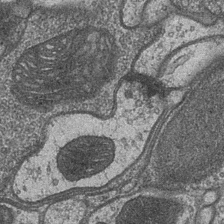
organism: Drosophila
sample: Optic medulla